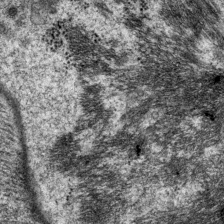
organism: P. pacificus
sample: Pharynx